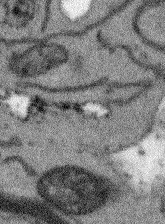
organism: Arabidopsis thaliana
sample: Root tip